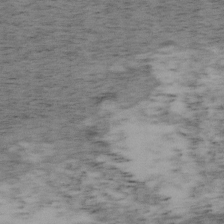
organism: Mouse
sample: OT-I killer T cells with ID8 ovarian cancer cells